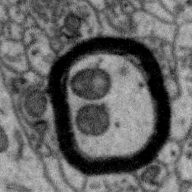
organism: Zebra finch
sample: Brain